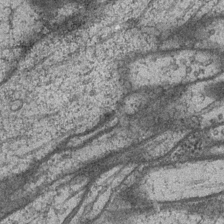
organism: Drosophila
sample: Optic medulla